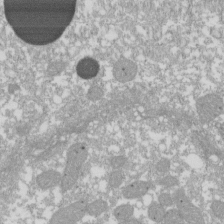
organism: Xenopus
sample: Cilia; centrioles in frog embryo cells